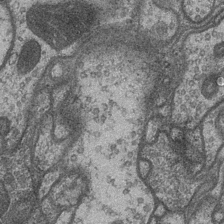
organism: Drosophila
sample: Optic medulla